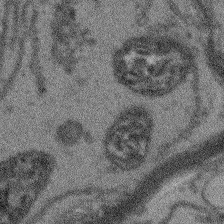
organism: Arabidopsis thaliana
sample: Root tip